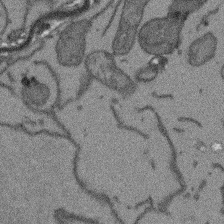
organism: Arabidopsis thaliana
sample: Root tip